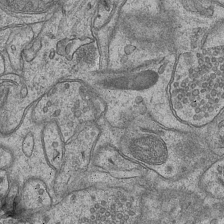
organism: Mouse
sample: CA1 Hippocampus